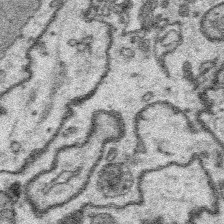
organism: Platynereis dumerilii